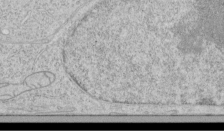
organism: Human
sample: Mitochondria in HCT116 cells